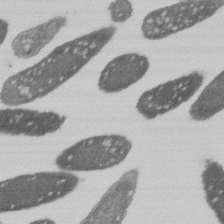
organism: E. coli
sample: Bacterial nucleoid